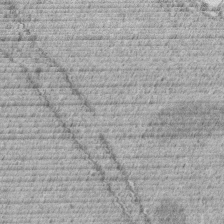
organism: C. elegans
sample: C. elegans embryo early stage